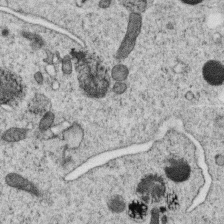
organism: C. elegans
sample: C. elegans oocyte; sperm cells